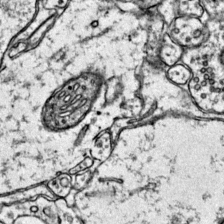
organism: Mouse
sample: Primary visual cortex